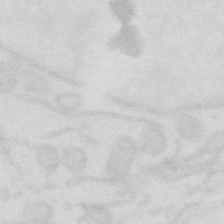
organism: Human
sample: HeLa cells